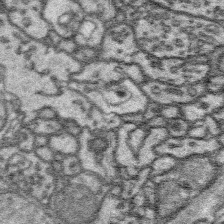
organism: Platynereis dumerilii